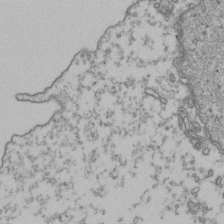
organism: Human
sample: Activated Jurkat CD4+ T cells